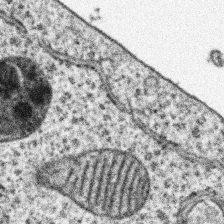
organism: Human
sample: HeLa cells